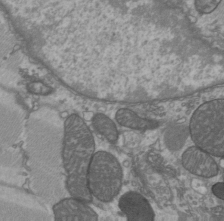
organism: C57BL Mouse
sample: Heart